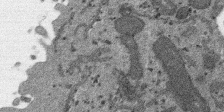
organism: Human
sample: Lung epithelial cells infected with SARS-CoV-2